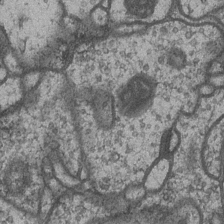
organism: Drosophila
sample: Optic medulla